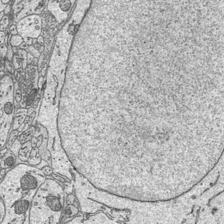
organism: Mouse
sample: Suprachiasmatic nucleus